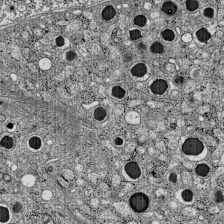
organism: C57BL Mouse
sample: Pancreatic islet